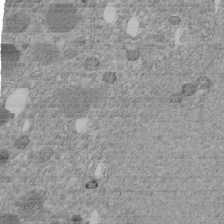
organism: C. elegans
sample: C. elegans embryo early stage